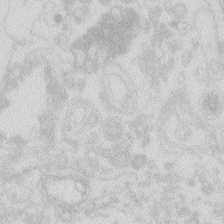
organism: Zebrafish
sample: Macrophage